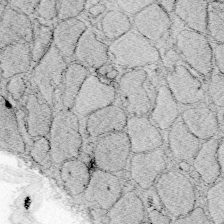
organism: Zebrafish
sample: Whole-Brain